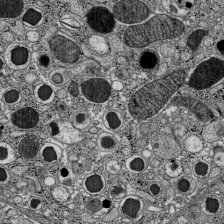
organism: C57BL Mouse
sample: Pancreatic islet